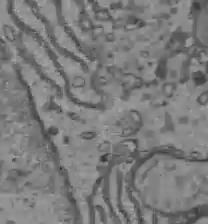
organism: C57BL Mouse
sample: Liver